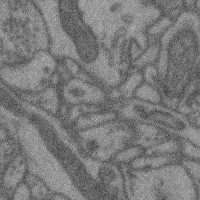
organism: Mouse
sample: Cerebral cortex